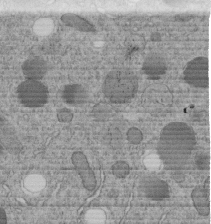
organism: C. elegans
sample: C. elegans embryo early stage